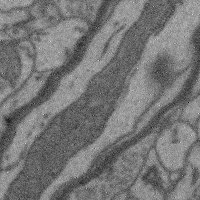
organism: Mouse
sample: Cerebral cortex